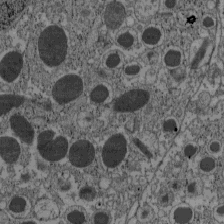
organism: C57BL Mouse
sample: Pancreatic islet